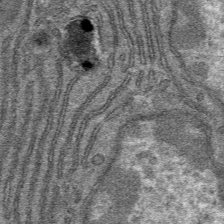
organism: Mouse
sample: Mouse hepatocytes